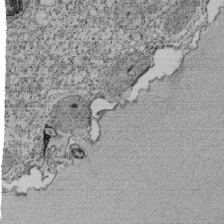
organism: Tetrahymena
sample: Cilia in tetrahymena